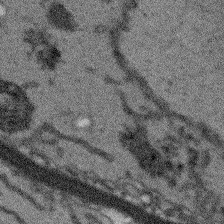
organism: Arabidopsis thaliana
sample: Root tip